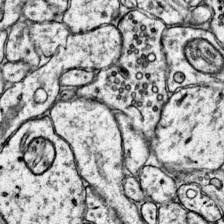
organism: Mouse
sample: Primary visual cortex